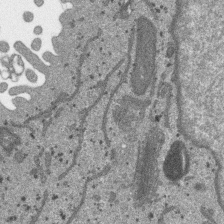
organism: Human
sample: Lung epithelial cells infected with SARS-CoV-2